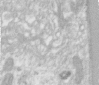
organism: Human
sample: Centriole in RPE cells